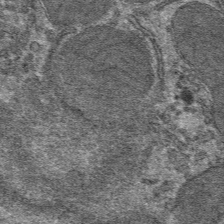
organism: Mouse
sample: Mouse hepatocytes